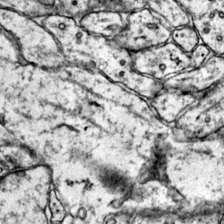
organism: Mouse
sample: Primary visual cortex